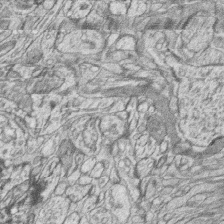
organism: Zebrafish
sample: synaptic ribbons in rod cells and cone cells